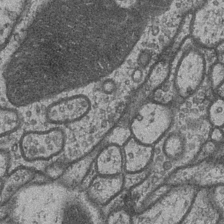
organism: Drosophila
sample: Optic medulla